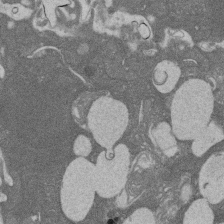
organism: Rat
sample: Salivary granule